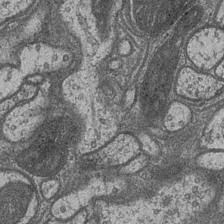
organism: Drosophila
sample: Optic medulla